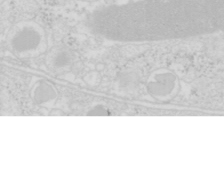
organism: Mouse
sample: Pancreas